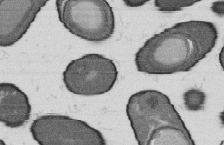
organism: B. subtilis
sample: Bacterial spore